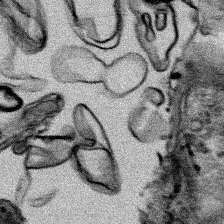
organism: Human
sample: Mitochondria in HCT116 cells